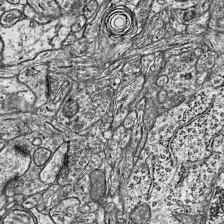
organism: Mouse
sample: Visual Cortex